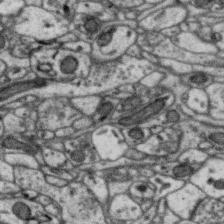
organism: Zebra finch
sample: Brain